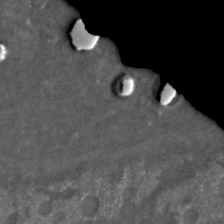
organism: C. elegans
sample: C. elegans embryo